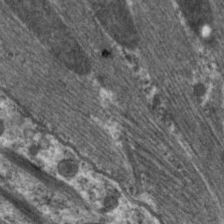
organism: C. elegans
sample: Pharynx